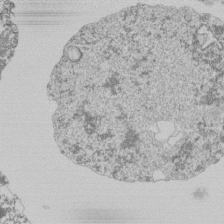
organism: Mouse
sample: Activated Pmel transgenic CD8+ T Cells